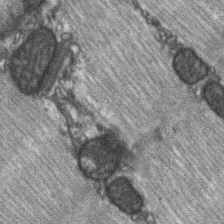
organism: C57BL Mouse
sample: Soleus